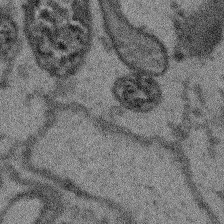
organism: Arabidopsis thaliana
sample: Root tip